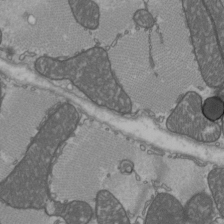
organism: C57BL Mouse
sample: Heart